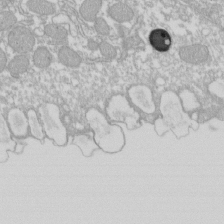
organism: Xenopus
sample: Cilia; centrioles in frog embryo cells